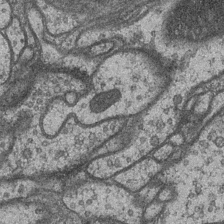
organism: Drosophila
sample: Optic medulla